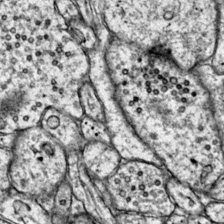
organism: Mouse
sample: Primary visual cortex